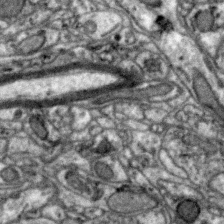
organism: Zebra finch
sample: Brain